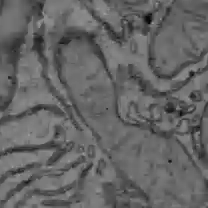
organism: C57BL Mouse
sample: Liver